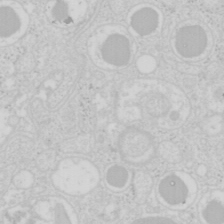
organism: Mouse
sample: Pancreas